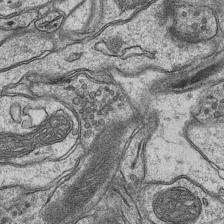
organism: Mouse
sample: CA1 Hippocampus